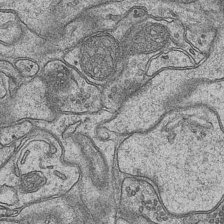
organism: Mouse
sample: CA1 Hippocampus